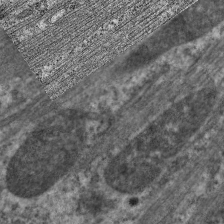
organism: C. elegans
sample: Pharynx